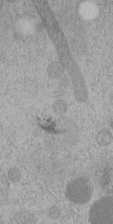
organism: C. elegans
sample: C. elegans embryo early stage